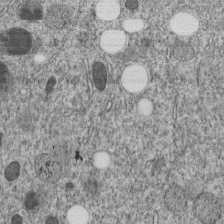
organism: C. elegans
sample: C. elegans embryo early stage